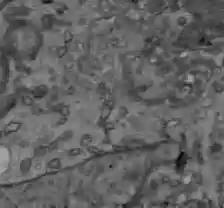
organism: C57BL Mouse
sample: Liver